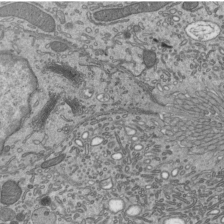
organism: Mouse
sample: Mouse epididymis efferent ductule cilia